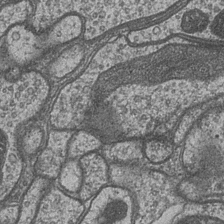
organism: Drosophila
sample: Optic medulla